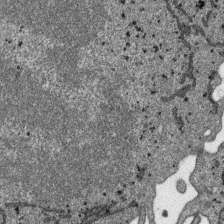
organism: Human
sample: Lung epithelial cells infected with SARS-CoV-2